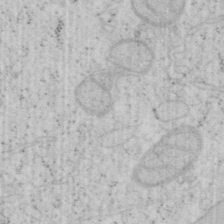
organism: Human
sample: HeLa cells